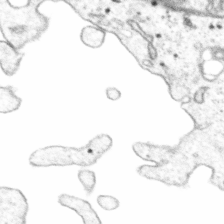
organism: Human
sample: HeLa cells